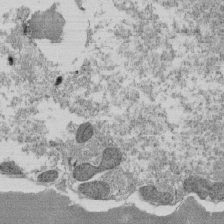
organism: Tetrahymena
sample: Cilia in tetrahymena